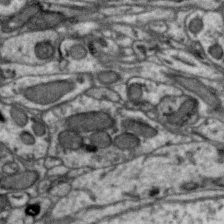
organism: Zebra finch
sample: Brain